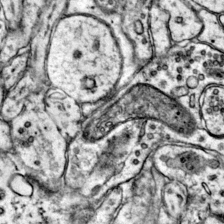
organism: Mouse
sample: Primary visual cortex